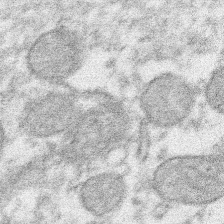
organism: Xenopus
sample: Cilia; centrioles in frog embryo cells